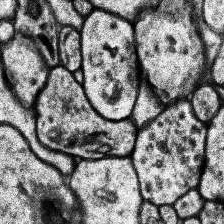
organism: Human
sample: Temporal Lobe